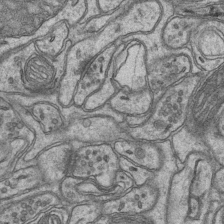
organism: Mouse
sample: CA1 Hippocampus